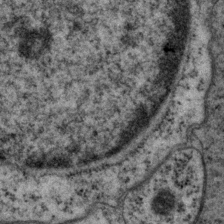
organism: P. pacificus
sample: Pharynx